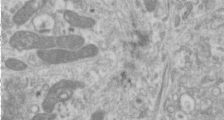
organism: Human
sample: Cilia; basal body in RPE cells